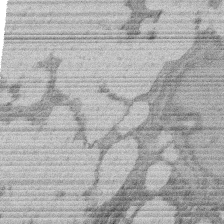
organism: Rat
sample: Salivary granule